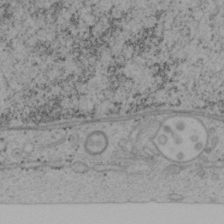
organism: Human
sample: HeLa cells